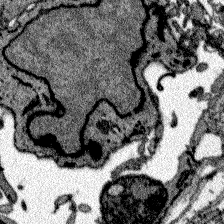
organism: Zebrafish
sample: Larval olfactory bulb